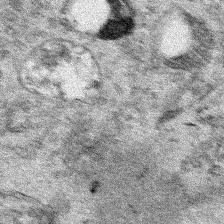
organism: Human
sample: Mitochondria in HCT116 cells